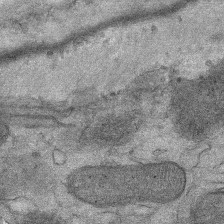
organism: Mouse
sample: Mouse Salivary gland